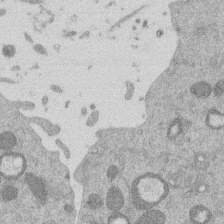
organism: Mouse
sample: Dividing mouse embryo 1 cell stage